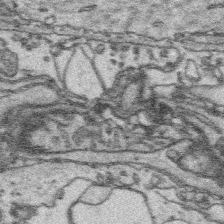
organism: Platynereis dumerilii